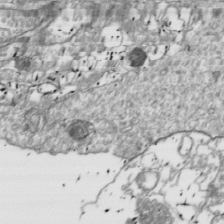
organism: Drosophila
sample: Cell division; meiosis; drosophila spermatocytes